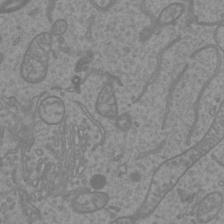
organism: Mouse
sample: Cortical neurons